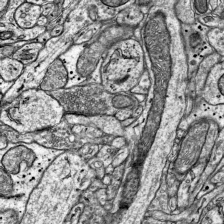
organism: Mouse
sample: Visual Cortex